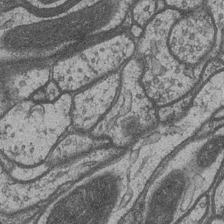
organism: Drosophila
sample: Optic medulla